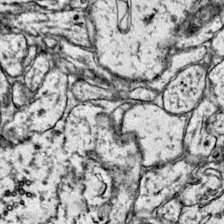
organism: Mouse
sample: Primary visual cortex